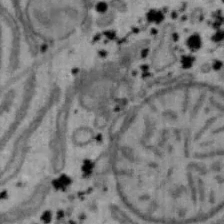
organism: Mouse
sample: Liver